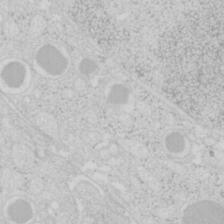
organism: Mouse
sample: Pancreas